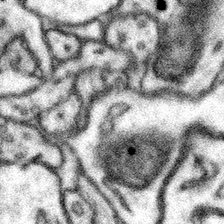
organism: Mouse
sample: Somatosensory cortex neuropil